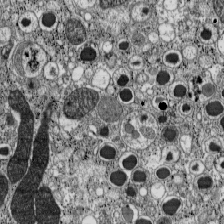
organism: C57BL Mouse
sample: Pancreatic islet